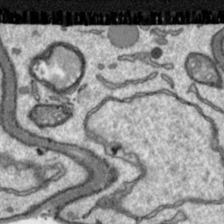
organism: Toxoplasma gondii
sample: Parasites in a vacuole inside a host cell